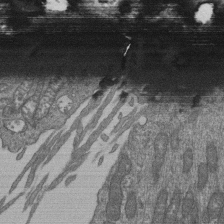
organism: Human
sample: Retinal organoid Rod and Cone cells